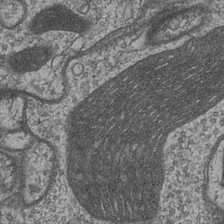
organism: Drosophila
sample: Optic medulla